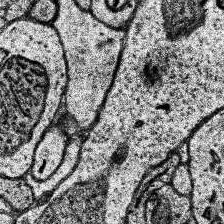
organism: Human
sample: Temporal Lobe